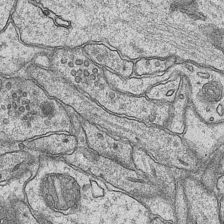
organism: Mouse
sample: CA1 Hippocampus